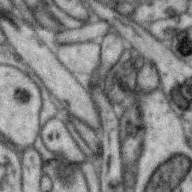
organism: Zebra finch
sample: Brain